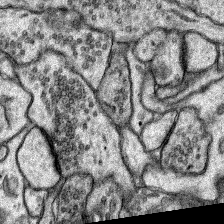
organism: Rat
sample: Hippocampus